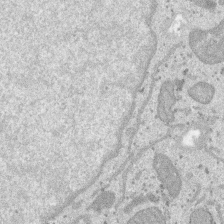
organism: Human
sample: Lung epithelial cells infected with SARS-CoV-2